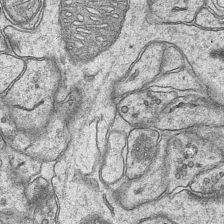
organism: Mouse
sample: CA1 Hippocampus